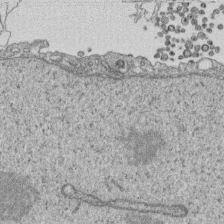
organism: Human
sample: HeLa cell HIV synapse